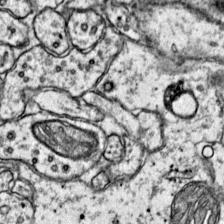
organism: Mouse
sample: Primary visual cortex